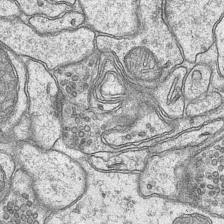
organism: Mouse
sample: CA1 Hippocampus